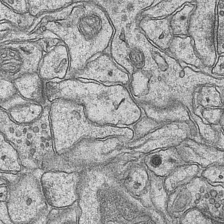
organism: Mouse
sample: CA1 Hippocampus